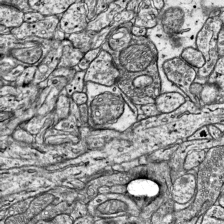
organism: Mouse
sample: Visual Cortex